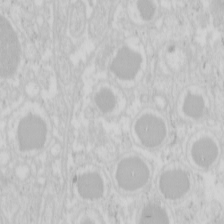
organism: Mouse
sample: Pancreas